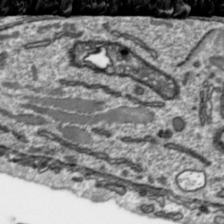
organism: Toxoplasma gondii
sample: Parasites in a vacuole inside a host cell